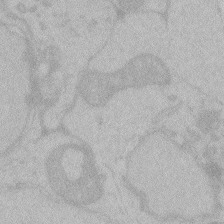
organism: Zebrafish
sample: Macrophage infected with Toxoplasma gondii